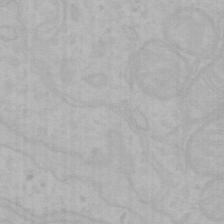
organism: Mouse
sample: Choroid plexus